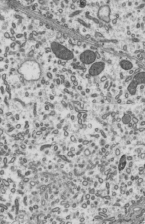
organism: Mouse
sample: Mouse epididymis efferent ductule cilia